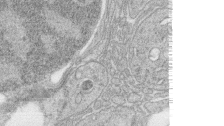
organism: Zebrafish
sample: synaptic ribbons in rod cells and cone cells